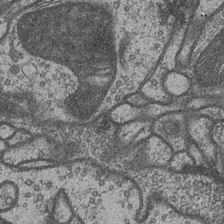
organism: Drosophila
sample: Optic medulla